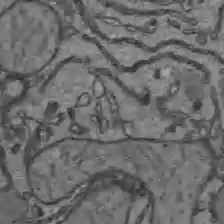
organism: C57BL Mouse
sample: Liver